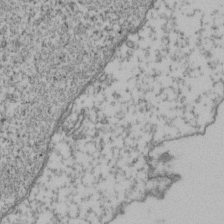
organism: Human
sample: Activated Jurkat CD4+ T cells